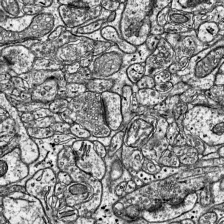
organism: Mouse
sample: Visual Cortex